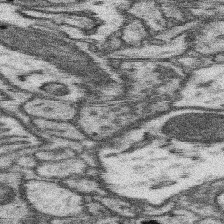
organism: Mouse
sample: Somatosensory cortex neuropil